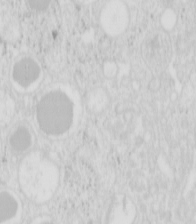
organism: Mouse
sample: Pancreas